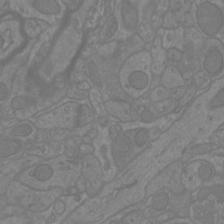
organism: Mouse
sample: Cortical neurons